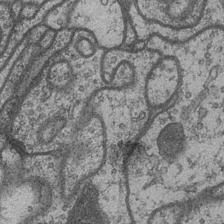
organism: Drosophila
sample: Optic medulla